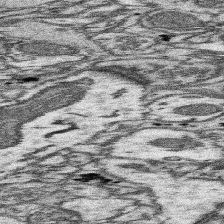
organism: Mouse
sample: Somatosensory cortex neuropil